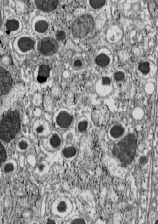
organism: C57BL Mouse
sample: Pancreatic islet